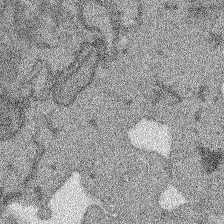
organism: Human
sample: HeLa cells